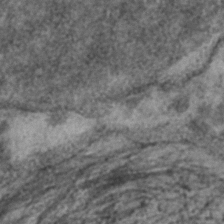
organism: C. elegans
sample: C. elegans embryo